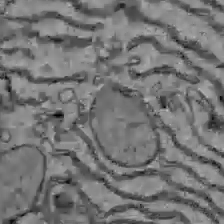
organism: C57BL Mouse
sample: Liver